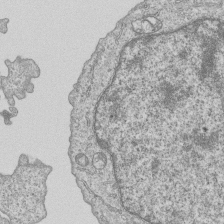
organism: Human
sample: MDA-MB-231 cells